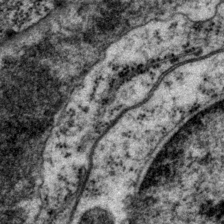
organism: P. pacificus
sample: Pharynx